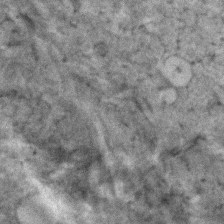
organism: Human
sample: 1205lu cells